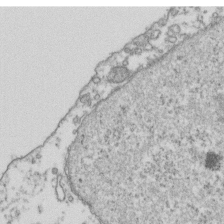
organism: Human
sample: Activated Jurkat CD4+ T cells